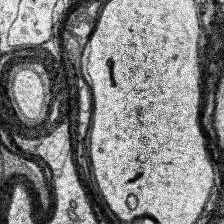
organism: Human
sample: Temporal Lobe